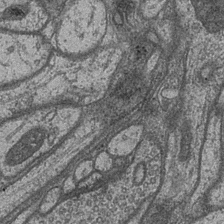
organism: Drosophila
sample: Optic medulla